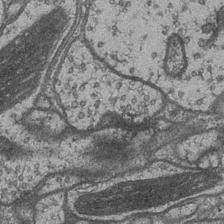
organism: Drosophila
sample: Optic medulla